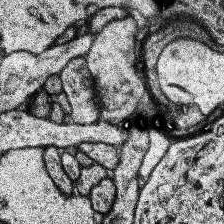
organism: Human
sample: Temporal Lobe